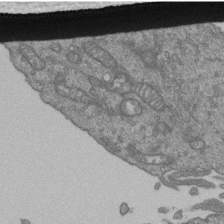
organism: Human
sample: Retinal organoid Rod and Cone cells